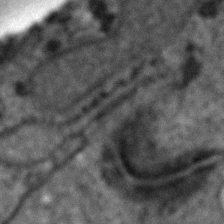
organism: Human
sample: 1205lu cells